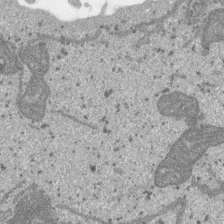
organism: Human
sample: Lung epithelial cells infected with SARS-CoV-2